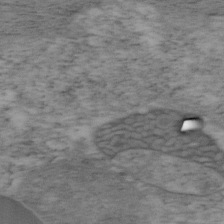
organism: Mouse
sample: OT-I killer T cells with ID8 ovarian cancer cells